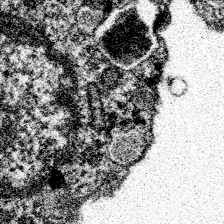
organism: Spongilla lacustris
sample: Neuroid cell